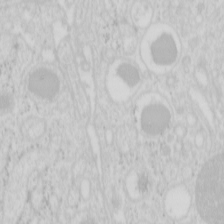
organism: Mouse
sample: Pancreas